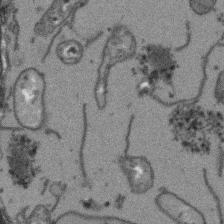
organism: Arabidopsis thaliana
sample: Root tip